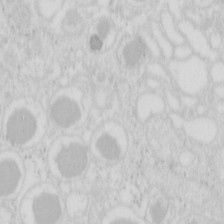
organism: Mouse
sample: Pancreas